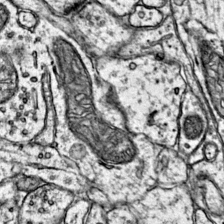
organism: Mouse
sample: Primary visual cortex